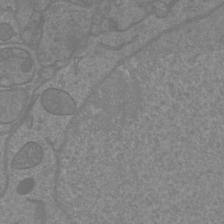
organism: Mouse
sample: Cortical neurons